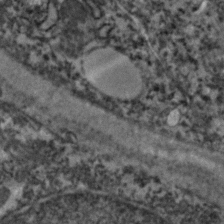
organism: Zebrafish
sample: Zebrafish embryo